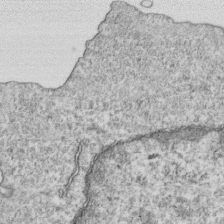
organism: Mouse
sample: Activated OT-1 CD8+ T cells